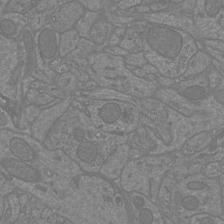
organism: Mouse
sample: Cortical neurons